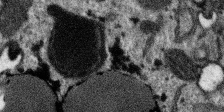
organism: Human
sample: Lung epithelial cells infected with SARS-CoV-2